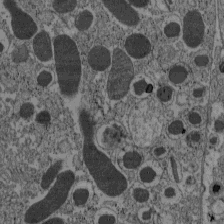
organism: C57BL Mouse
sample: Pancreatic islet